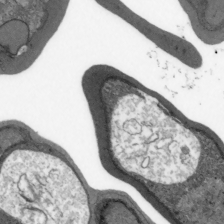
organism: Plasmodium falciparum